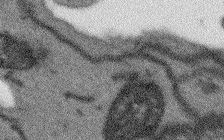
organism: Arabidopsis thaliana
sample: Root tip